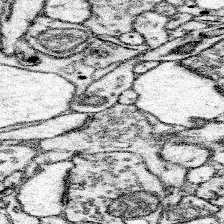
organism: Mouse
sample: Somatosensory cortex neuropil